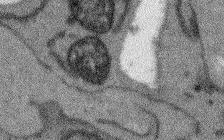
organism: Arabidopsis thaliana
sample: Root tip